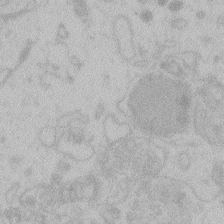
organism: Zebrafish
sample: Macrophage infected with Toxoplasma gondii